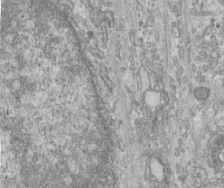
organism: Human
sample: Centriole in fibroblast cells